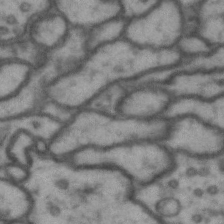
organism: Drosophila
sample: Brain